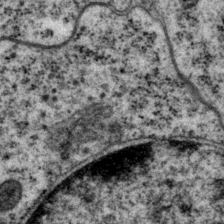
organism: P. pacificus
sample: Pharynx